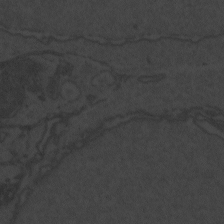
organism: Zebrafish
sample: Macrophage infected with Toxoplasma gondii